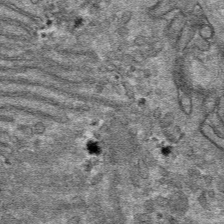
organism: Mouse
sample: Mouse hepatocytes